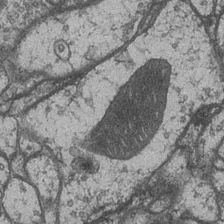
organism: Drosophila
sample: Optic medulla